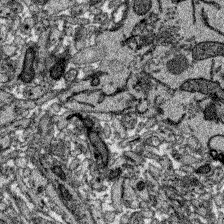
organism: Zebrafish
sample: Larval olfactory bulb